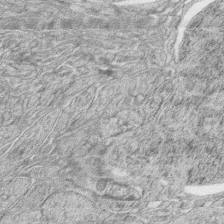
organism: Zebrafish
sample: synaptic ribbons in rod cells and cone cells